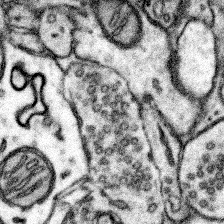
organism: Mouse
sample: Somatosensory cortex neuropil